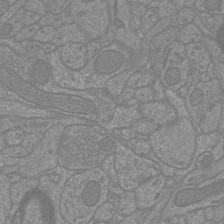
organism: Mouse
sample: Cortical neurons